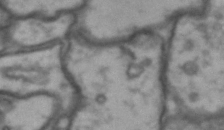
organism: Drosophila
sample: Brain